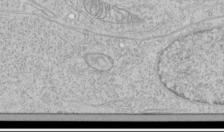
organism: Human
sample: Mitochondria in HCT116 cells